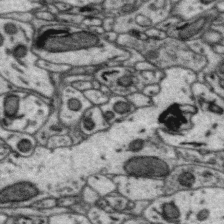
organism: Zebra finch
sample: Brain